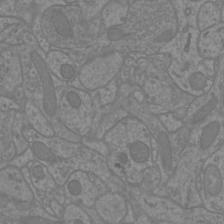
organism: Mouse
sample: Cortical neurons